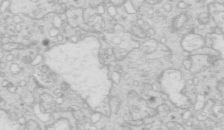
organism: Mouse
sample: Multiciliated cells